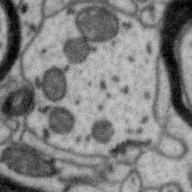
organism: Zebra finch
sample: Brain